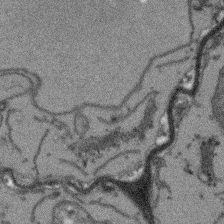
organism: Arabidopsis thaliana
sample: Root tip